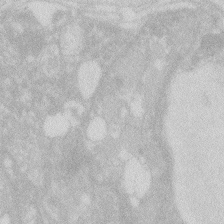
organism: Zebrafish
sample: Macrophage